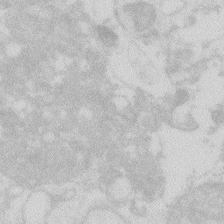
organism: Zebrafish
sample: Macrophage